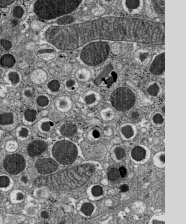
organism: C57BL Mouse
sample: Pancreatic islet